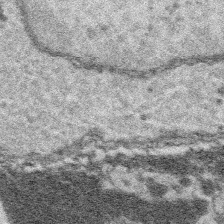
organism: Platynereis dumerilii